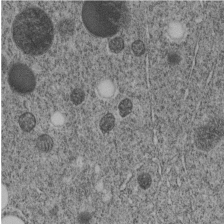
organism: C. elegans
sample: C. elegans embryo early stage